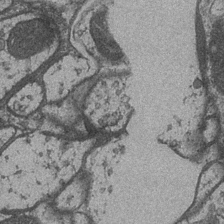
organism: Drosophila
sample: Optic medulla